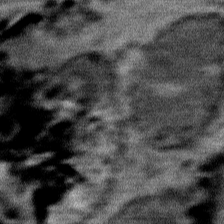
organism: Mouse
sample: Mouse Salivary gland